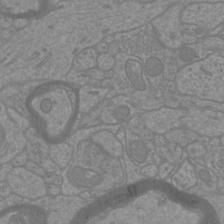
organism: Mouse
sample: Cortical neurons